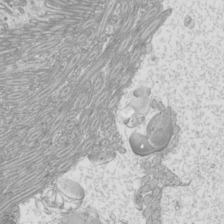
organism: Mouse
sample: Cilia; mouse epididymis